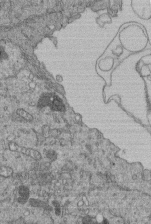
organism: Human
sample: Retinal organoid Rod and Cone cells